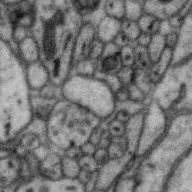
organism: Zebra finch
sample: Brain